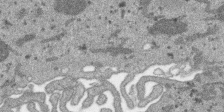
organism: Human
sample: Lung epithelial cells infected with SARS-CoV-2